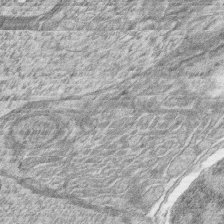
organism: Zebrafish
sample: synaptic ribbons in rod cells and cone cells